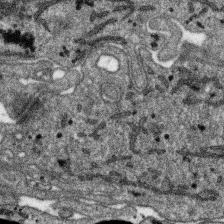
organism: Human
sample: Lung epithelial cells infected with SARS-CoV-2